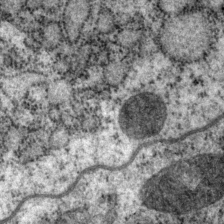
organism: P. pacificus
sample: Pharynx